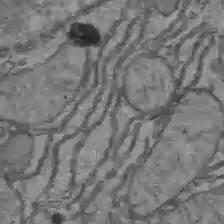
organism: C57BL Mouse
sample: Liver